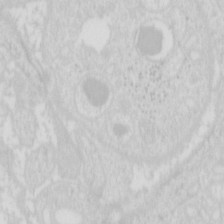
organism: Mouse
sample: Pancreas